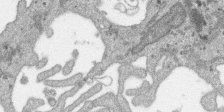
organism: Human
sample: Lung epithelial cells infected with SARS-CoV-2